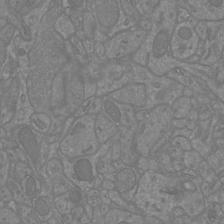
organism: Mouse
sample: Cortical neurons